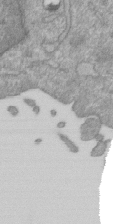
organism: Mouse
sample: ED-1 cell nuclei; centrioles